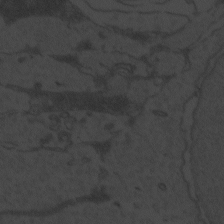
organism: Zebrafish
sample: Macrophage infected with Toxoplasma gondii